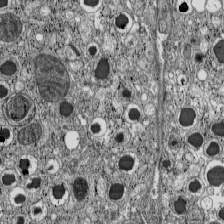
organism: C57BL Mouse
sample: Pancreatic islet